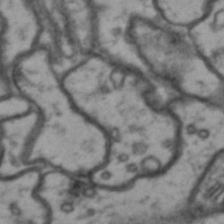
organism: Drosophila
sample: Brain